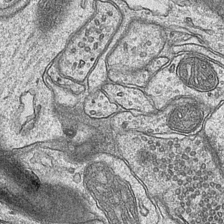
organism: Mouse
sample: CA1 Hippocampus